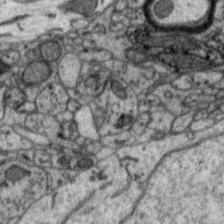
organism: Zebra finch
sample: Brain